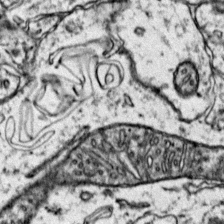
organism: Mouse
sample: Primary visual cortex